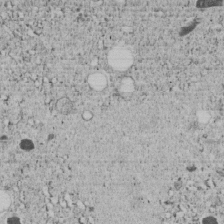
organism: C. elegans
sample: C. elegans embryo early stage